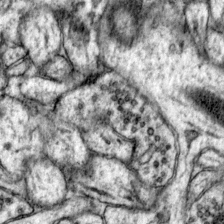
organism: Mouse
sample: Primary visual cortex